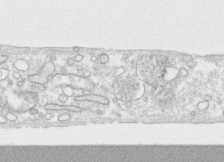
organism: Human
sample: CRL-1474